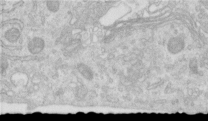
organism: Human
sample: Centriole in RPE cells